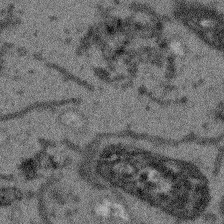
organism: Arabidopsis thaliana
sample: Root tip